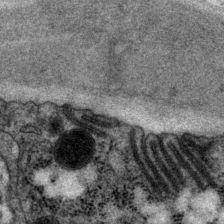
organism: P. pacificus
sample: Pharynx